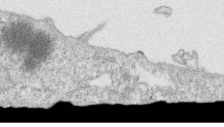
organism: Human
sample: HeLa cell HIV synapse